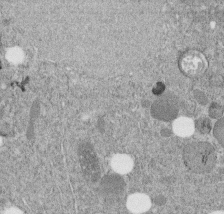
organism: C. elegans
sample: C. elegans embryo early stage